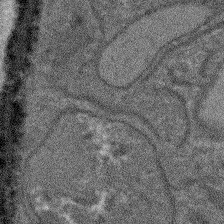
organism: Arabidopsis thaliana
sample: Root tip